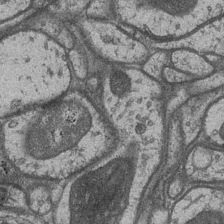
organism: Drosophila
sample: Optic medulla